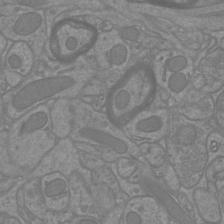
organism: Mouse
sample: Cortical neurons